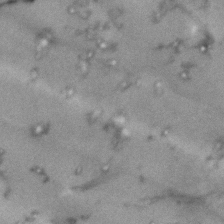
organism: Human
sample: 1205lu cells